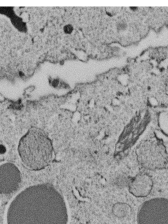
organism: C. elegans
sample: C. elegans embryo early stage